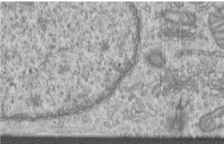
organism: Human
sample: Centriole in RPE cells